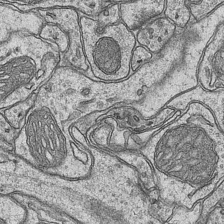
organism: Mouse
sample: CA1 Hippocampus